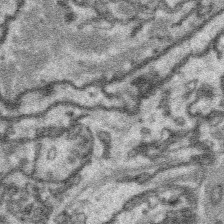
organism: Platynereis dumerilii